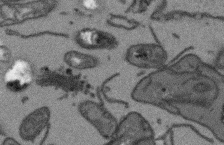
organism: Arabidopsis thaliana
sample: Root tip